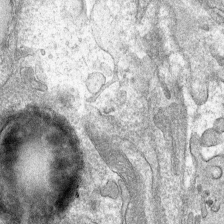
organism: Mouse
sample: Mouse hepatocytes